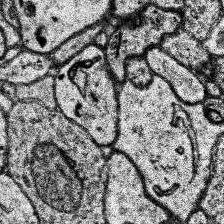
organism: Human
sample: Temporal Lobe